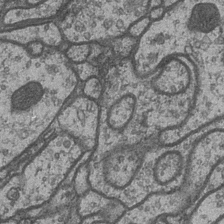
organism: Drosophila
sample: Optic medulla